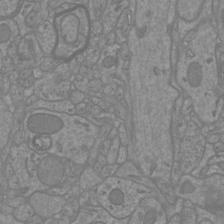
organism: Mouse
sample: Cortical neurons